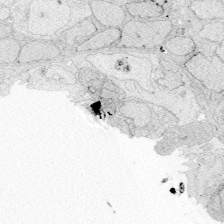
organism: Zebrafish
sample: Whole-Brain